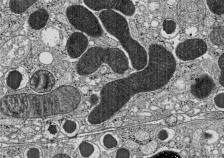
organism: C57BL Mouse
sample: Pancreatic islet